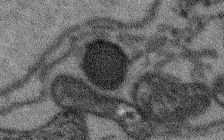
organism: Arabidopsis thaliana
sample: Root tip